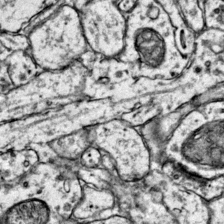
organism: Mouse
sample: Primary visual cortex